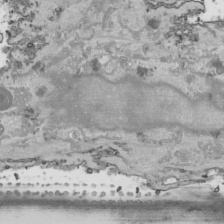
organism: Human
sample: Mitochondria in HCT116 cells